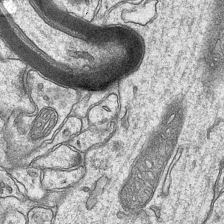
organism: Mouse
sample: CA1 Hippocampus